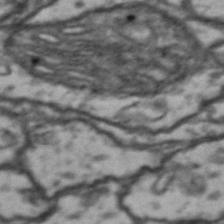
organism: Drosophila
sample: Brain